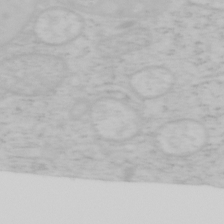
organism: Mouse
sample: OT-I killer T cells with ID8 ovarian cancer cells